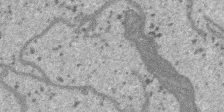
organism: Human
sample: Lung epithelial cells infected with SARS-CoV-2